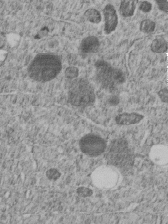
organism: C. elegans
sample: C. elegans embryo early stage